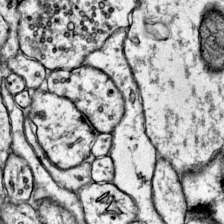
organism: Mouse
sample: Primary visual cortex